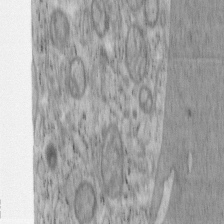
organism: Human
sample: HeLa cells